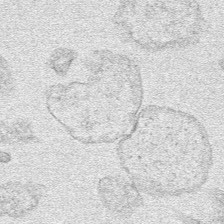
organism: Human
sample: Mitochondria in HCT116 cells